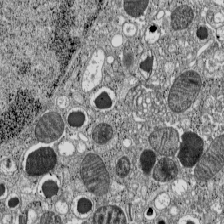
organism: C57BL Mouse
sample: Pancreatic islet